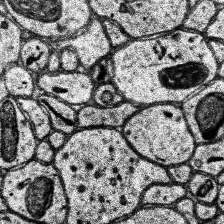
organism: Human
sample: Temporal Lobe